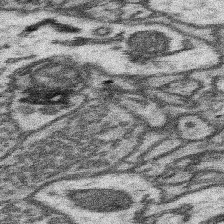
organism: Mouse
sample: Somatosensory cortex neuropil